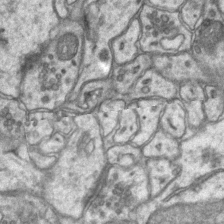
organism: Mouse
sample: CA1 Hippocampus